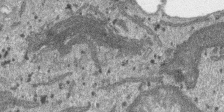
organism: Human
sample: Lung epithelial cells infected with SARS-CoV-2